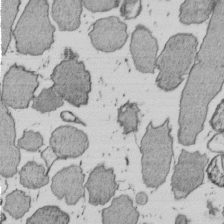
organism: E. coli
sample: Bacterial nucleoid